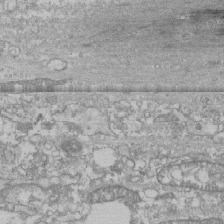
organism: Human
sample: CRL-1474